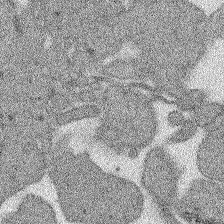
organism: Human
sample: HeLa cells